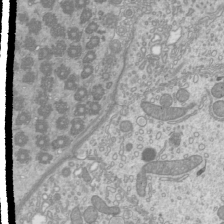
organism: Mouse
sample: Cilia; mouse epididymis